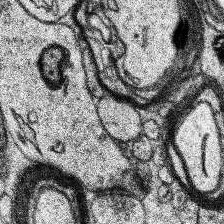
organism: Human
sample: Temporal Lobe